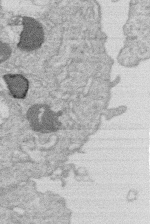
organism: Human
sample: Macrophage cells